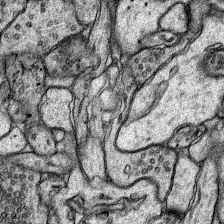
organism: Rat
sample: Hippocampus